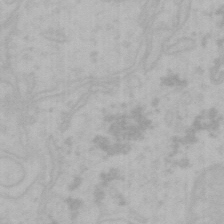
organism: Mouse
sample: Choroid plexus